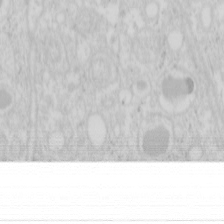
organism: Mouse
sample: Pancreas